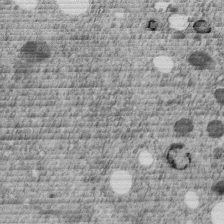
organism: C. elegans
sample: C. elegans embryo early stage